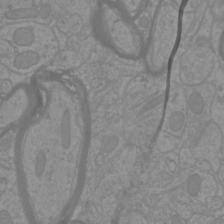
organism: Mouse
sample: Cortical neurons